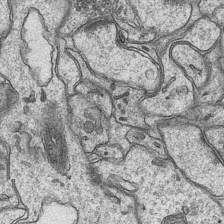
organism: Mouse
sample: CA1 Hippocampus